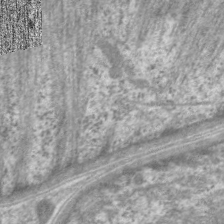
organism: C. elegans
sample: Pharynx